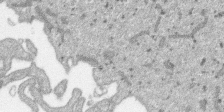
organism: Human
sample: Lung epithelial cells infected with SARS-CoV-2